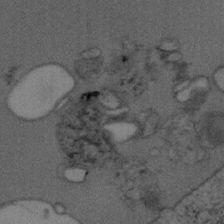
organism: Human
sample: HeLa cells